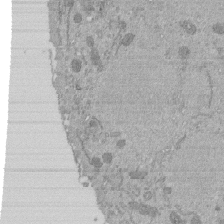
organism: Mouse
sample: ED-1 cell nuclei; centrioles